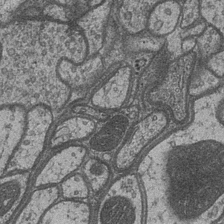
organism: Drosophila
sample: Optic medulla